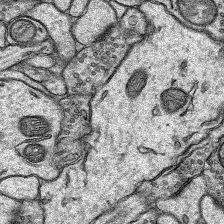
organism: Rat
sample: Hippocampus